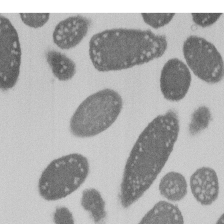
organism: E. coli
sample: Bacterial nucleoid